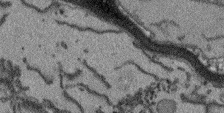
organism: Arabidopsis thaliana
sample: Root tip